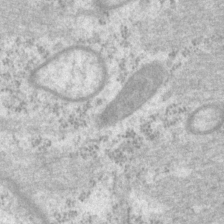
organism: P. pacificus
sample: Pharynx